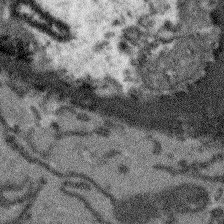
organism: Arabidopsis thaliana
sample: Root tip